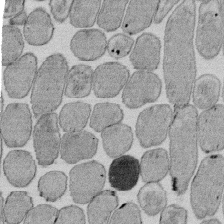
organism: E. coli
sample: Bacterial nucleoid